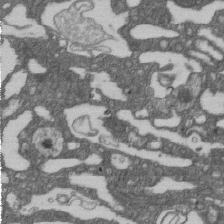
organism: Drosophila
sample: Nephrocyte